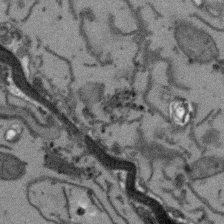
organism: Arabidopsis thaliana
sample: Root tip